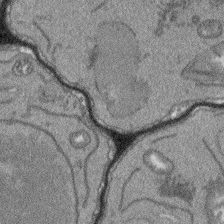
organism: Arabidopsis thaliana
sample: Root tip